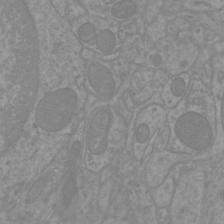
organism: Mouse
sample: Cortical neurons